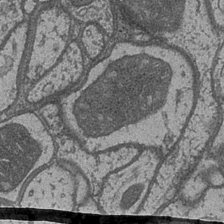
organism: Drosophila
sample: Optic medulla